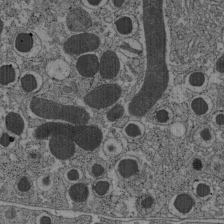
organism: C57BL Mouse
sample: Pancreatic islet